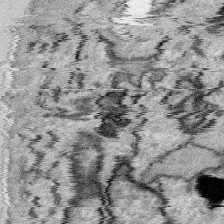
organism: Human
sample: HeLa cells